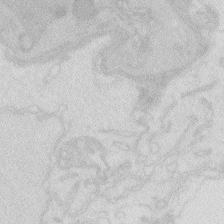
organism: Zebrafish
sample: Macrophage